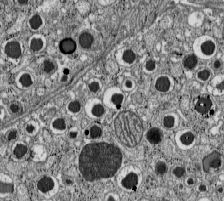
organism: C57BL Mouse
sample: Pancreatic islet